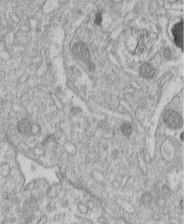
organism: Human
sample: Macrophage cells